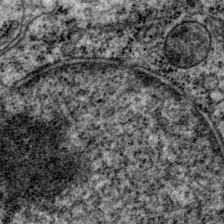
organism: P. pacificus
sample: Pharynx